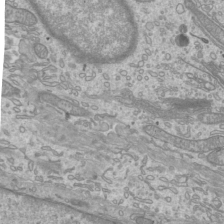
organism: Mouse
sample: Cilia; mouse epididymis